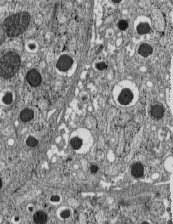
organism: C57BL Mouse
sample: Pancreatic islet